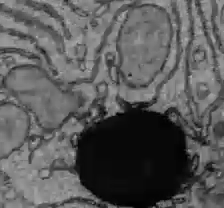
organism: C57BL Mouse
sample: Liver